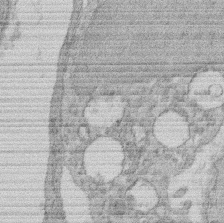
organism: Rat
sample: Salivary granule